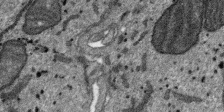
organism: Human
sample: Lung epithelial cells, uninfected (mock) control